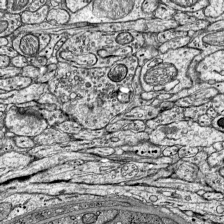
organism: Mouse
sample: Visual Cortex